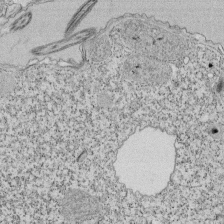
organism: Tetrahymena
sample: Cilia in tetrahymena